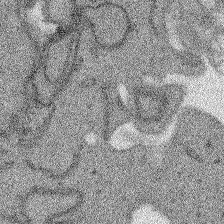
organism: Human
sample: HeLa cells